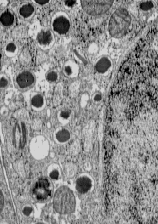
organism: C57BL Mouse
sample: Pancreatic islet